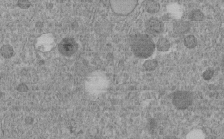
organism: C. elegans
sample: C. elegans embryo early stage